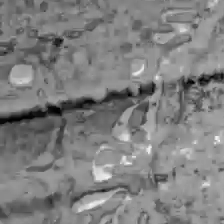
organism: C57BL Mouse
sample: Liver